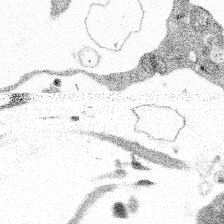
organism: Spongilla lacustris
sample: Multiple